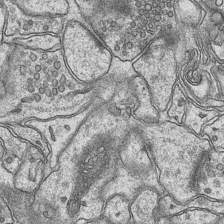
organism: Mouse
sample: CA1 Hippocampus